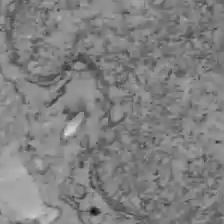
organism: C57BL Mouse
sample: Liver